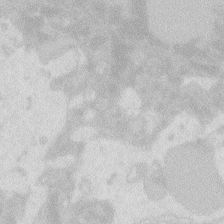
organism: Zebrafish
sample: Macrophage